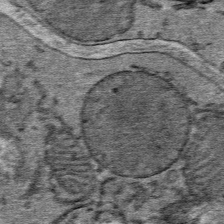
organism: Mouse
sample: Mouse Salivary gland